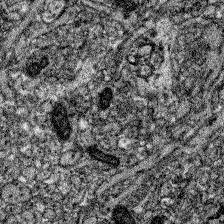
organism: Zebrafish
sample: Larval olfactory bulb